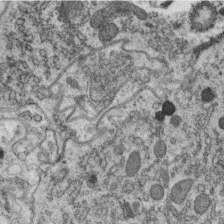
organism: C. elegans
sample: C. elegans oocyte; sperm cells